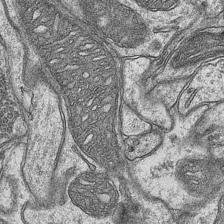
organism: Mouse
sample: CA1 Hippocampus